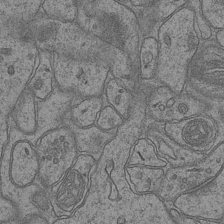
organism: Mouse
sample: CA1 Hippocampus